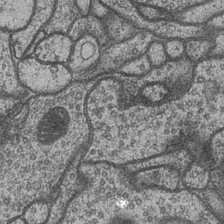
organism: Drosophila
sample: Optic medulla